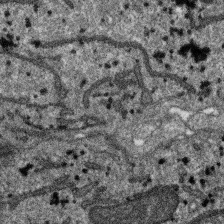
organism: Human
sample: Lung epithelial cells infected with SARS-CoV-2